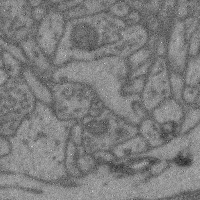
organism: Mouse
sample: Cerebral cortex